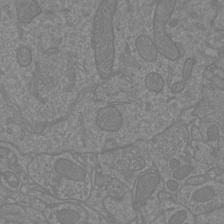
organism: Mouse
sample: Cortical neurons